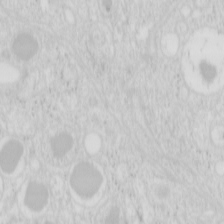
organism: Mouse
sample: Pancreas